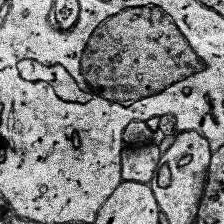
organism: Human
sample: Temporal Lobe